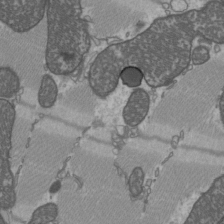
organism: C57BL Mouse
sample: Heart